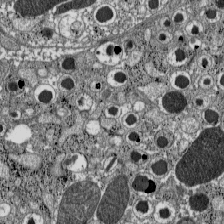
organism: C57BL Mouse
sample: Pancreatic islet